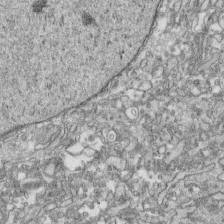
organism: Human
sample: CRL-1474